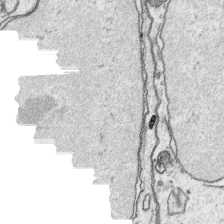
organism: Platynereis dumerilii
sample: Parapodia